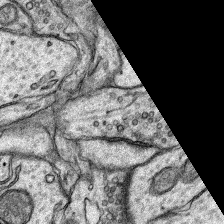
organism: Rat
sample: Hippocampus